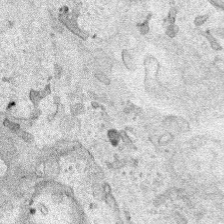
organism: Human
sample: Mitochondria in HCT116 cells